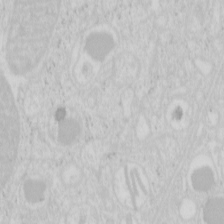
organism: Mouse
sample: Pancreas